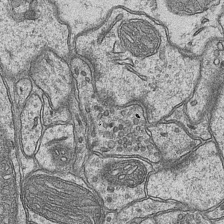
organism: Mouse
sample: CA1 Hippocampus